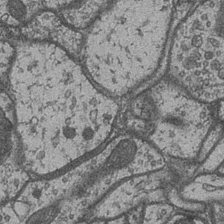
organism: Drosophila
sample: Optic medulla